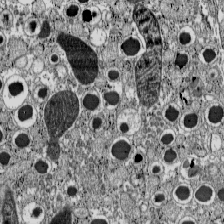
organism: C57BL Mouse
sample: Pancreatic islet